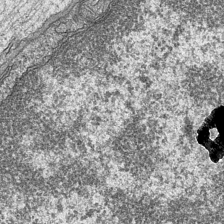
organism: Mouse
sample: CA1 Hippocampus